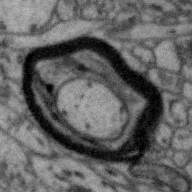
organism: Zebra finch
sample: Brain